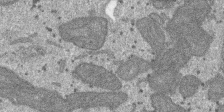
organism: Human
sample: Lung epithelial cells infected with SARS-CoV-2